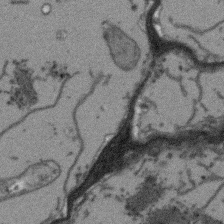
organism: Arabidopsis thaliana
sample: Root tip